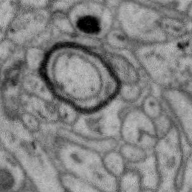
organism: Zebra finch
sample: Brain